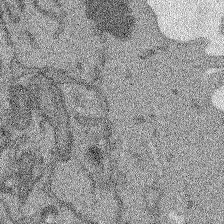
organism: Human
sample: HeLa cells